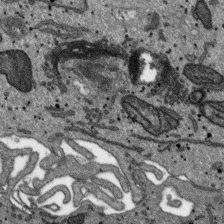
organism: Human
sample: Lung epithelial cells, uninfected (mock) control